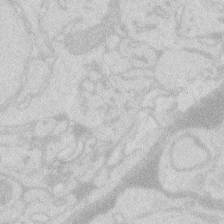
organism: Zebrafish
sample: Macrophage